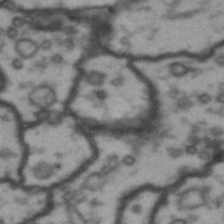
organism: Drosophila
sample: Brain